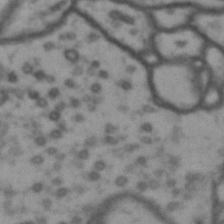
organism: Drosophila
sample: Brain